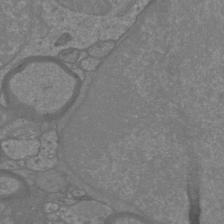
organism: Mouse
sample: Cortical neurons